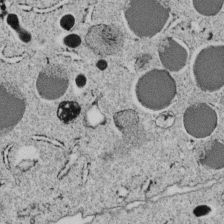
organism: C. elegans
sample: C. elegans embryo early stage